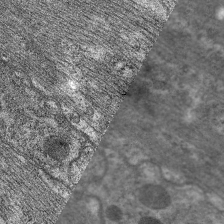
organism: C. elegans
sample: Pharynx